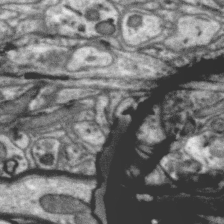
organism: Zebra finch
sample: Brain